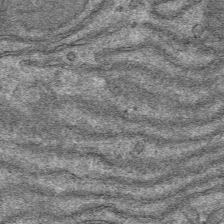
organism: Mouse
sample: Mouse hepatocytes